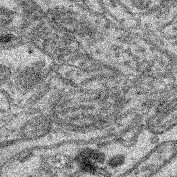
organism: Mouse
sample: Retina